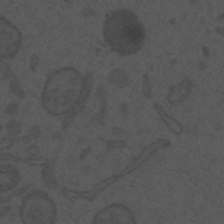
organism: Mouse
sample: Suprachiasmatic nucleus